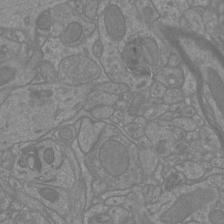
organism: Mouse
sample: Cortical neurons